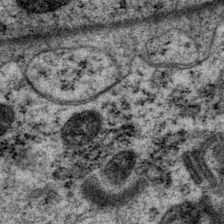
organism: P. pacificus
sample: Pharynx